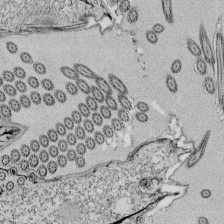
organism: Tetrahymena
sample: Cilia in tetrahymena